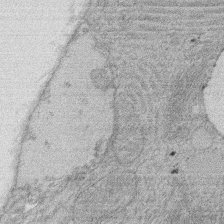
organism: Rat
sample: Salivary granule